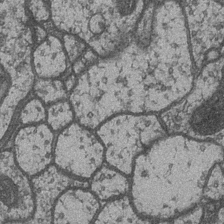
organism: Drosophila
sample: Optic medulla